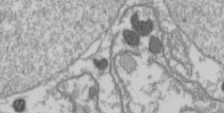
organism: Drosophila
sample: Cell division; meiosis; drosophila spermatocytes